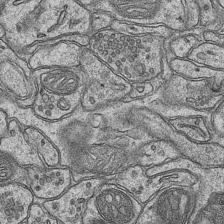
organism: Mouse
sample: CA1 Hippocampus